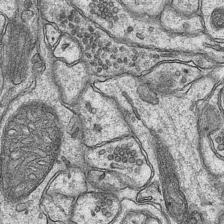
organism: Mouse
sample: CA1 Hippocampus